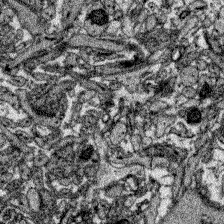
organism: Zebrafish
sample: Larval olfactory bulb